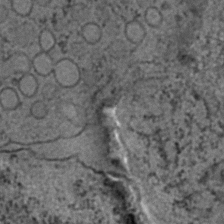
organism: C. elegans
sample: C. elegans embryo